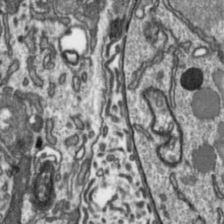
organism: Toxoplasma gondii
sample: Parasites in a vacuole inside a host cell